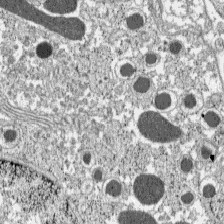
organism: C57BL Mouse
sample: Pancreatic islet